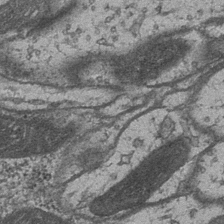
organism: Drosophila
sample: Optic medulla